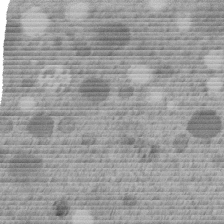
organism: C. elegans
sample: C. elegans embryo early stage